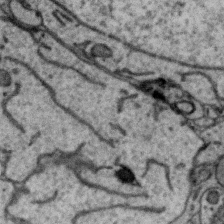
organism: Zebra finch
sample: Brain